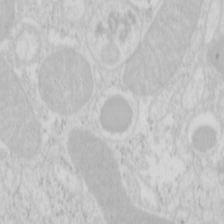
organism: Mouse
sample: Pancreas